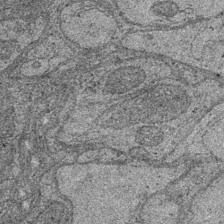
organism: Drosophila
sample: Optic medulla